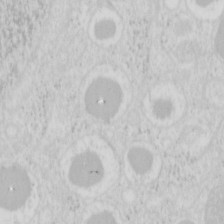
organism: Mouse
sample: Pancreas